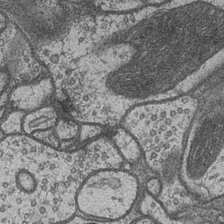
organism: Drosophila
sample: Optic medulla